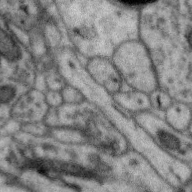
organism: Zebra finch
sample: Brain